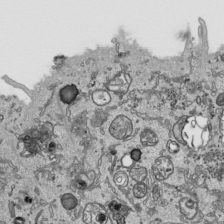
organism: Human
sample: Mitochondria in HCT116 cells